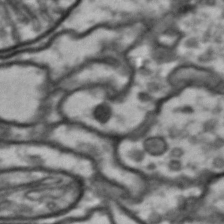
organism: Drosophila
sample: Brain